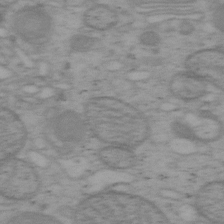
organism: Mouse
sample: OT-I killer T cells with ID8 ovarian cancer cells